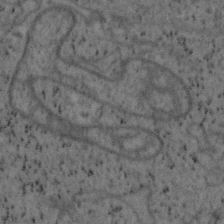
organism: Human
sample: HeLa cells